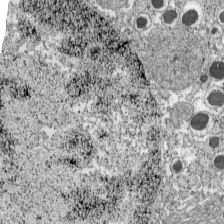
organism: C57BL Mouse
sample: Pancreatic islet